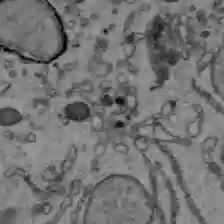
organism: C57BL Mouse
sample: Liver